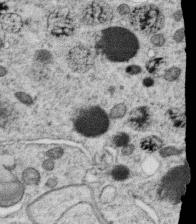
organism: C. elegans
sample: C. elegans oocyte; sperm cells